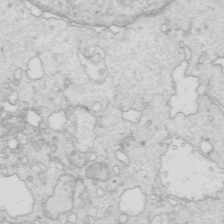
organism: Mouse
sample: Multiciliated cells